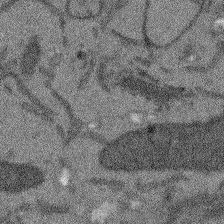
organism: Arabidopsis thaliana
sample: Root tip